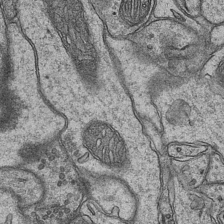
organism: Mouse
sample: CA1 Hippocampus